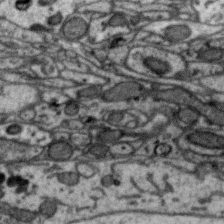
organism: Zebra finch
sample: Brain